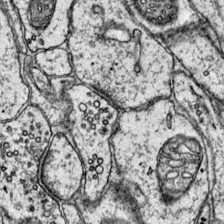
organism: Mouse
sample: Primary visual cortex